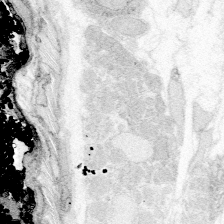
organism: Zebrafish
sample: Whole-Brain